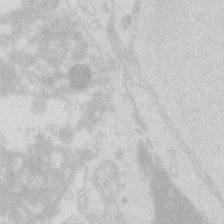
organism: Zebrafish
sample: Macrophage